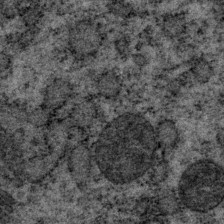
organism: P. pacificus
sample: Pharynx